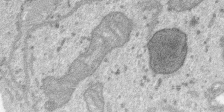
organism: Human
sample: Lung epithelial cells infected with SARS-CoV-2